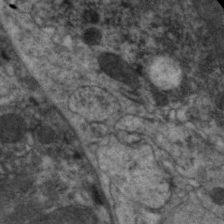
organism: C. elegans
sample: Pharynx